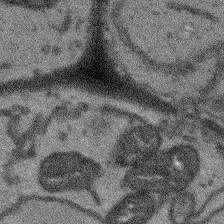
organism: Arabidopsis thaliana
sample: Root tip